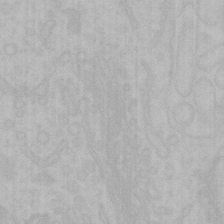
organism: Mouse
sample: Choroid plexus